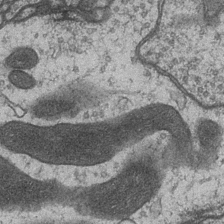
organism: Drosophila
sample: Optic medulla